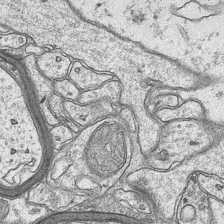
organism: Mouse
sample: CA1 Hippocampus